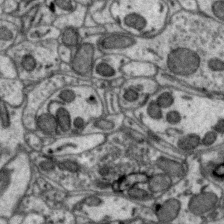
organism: Zebra finch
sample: Brain